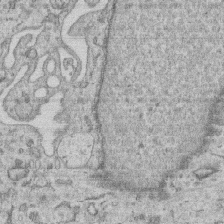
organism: Human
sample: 1205lu cells